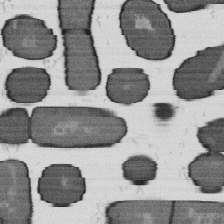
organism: B. subtilis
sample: Bacterial spore